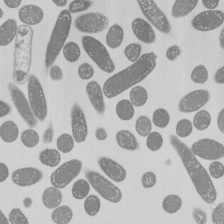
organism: E. coli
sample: Bacterial nucleoid